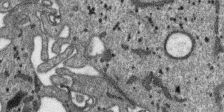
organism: Human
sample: Lung epithelial cells infected with SARS-CoV-2